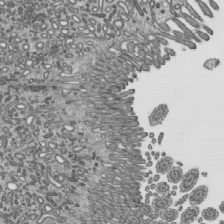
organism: Mouse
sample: Mouse epididymis efferent ductule cilia